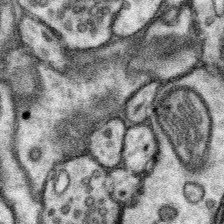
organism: Mouse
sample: Somatosensory cortex neuropil